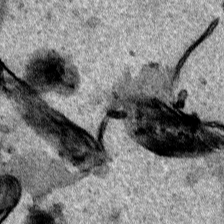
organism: Human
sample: Mitochondria in HCT116 cells